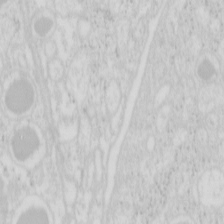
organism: Mouse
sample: Pancreas